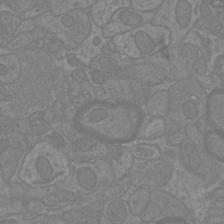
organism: Mouse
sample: Cortical neurons